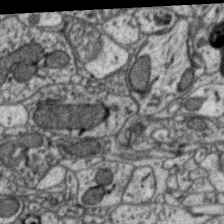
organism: Zebra finch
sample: Brain